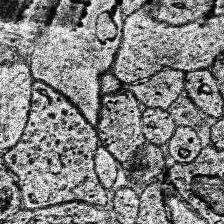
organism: Human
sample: Temporal Lobe